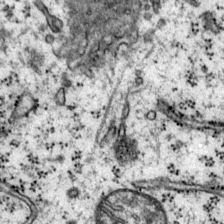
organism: Mouse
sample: Primary visual cortex